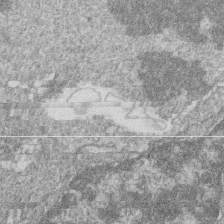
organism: Zebrafish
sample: Cilia; retinal pigment epithelium